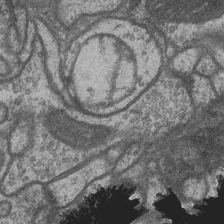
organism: Drosophila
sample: Optic medulla